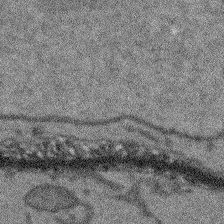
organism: Arabidopsis thaliana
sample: Root tip